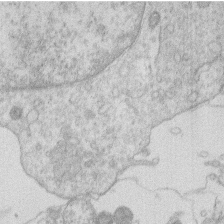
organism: Human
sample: Macrophage cells